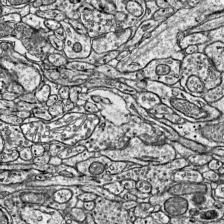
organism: Mouse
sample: Visual Cortex